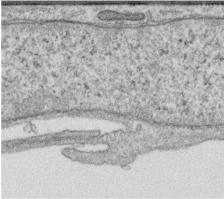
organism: Human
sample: Centriole in RPE cells